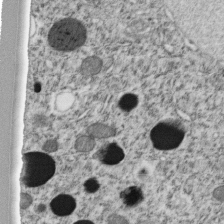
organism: C. elegans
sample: C. elegans embryo early stage